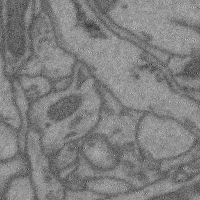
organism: Mouse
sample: Cerebral cortex